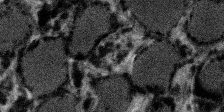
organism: Human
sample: Lung epithelial cells infected with SARS-CoV-2